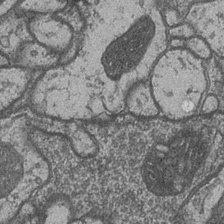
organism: Drosophila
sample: Optic medulla